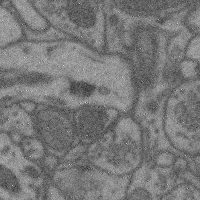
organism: Mouse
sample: Cerebral cortex